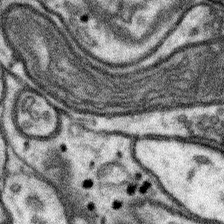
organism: Mouse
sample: Somatosensory cortex neuropil